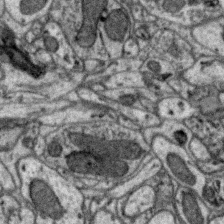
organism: Zebra finch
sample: Brain